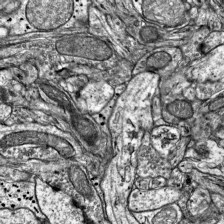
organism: Mouse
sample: Visual Cortex